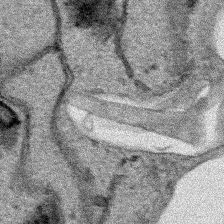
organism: Human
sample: Mitochondria in HCT116 cells